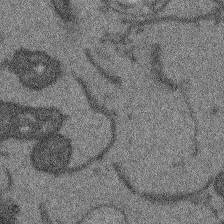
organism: Arabidopsis thaliana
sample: Root tip